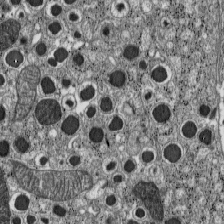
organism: C57BL Mouse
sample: Pancreatic islet